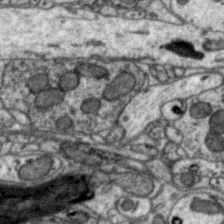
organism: Zebra finch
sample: Brain